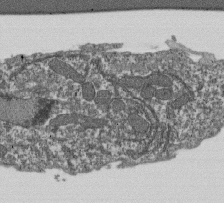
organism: Dictyostelium discoideum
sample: Dictyostelium multivesicular bodies